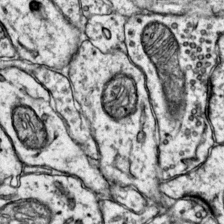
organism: Mouse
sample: Primary visual cortex